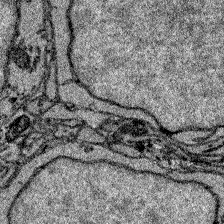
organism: Zebrafish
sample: Larval olfactory bulb